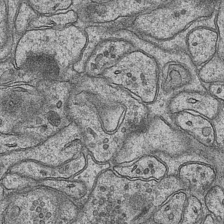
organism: Mouse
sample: CA1 Hippocampus